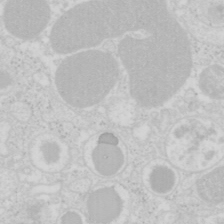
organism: Mouse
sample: Pancreas